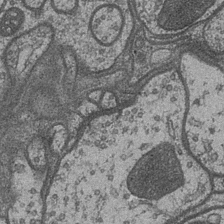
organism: Drosophila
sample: Optic medulla